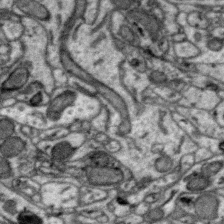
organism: Zebra finch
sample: Brain